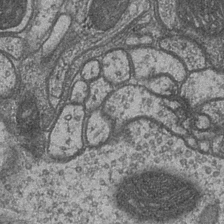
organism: Drosophila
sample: Optic medulla